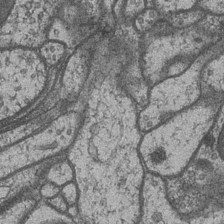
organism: Drosophila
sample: Optic medulla